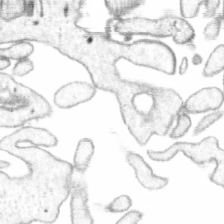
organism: Human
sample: HeLa cells